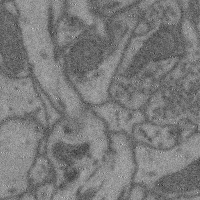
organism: Mouse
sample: Cerebral cortex